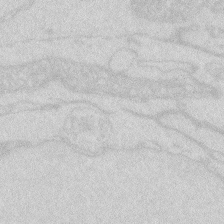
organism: Zebrafish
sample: Macrophage